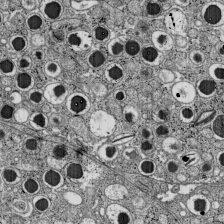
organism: C57BL Mouse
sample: Pancreatic islet